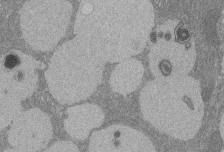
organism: Rat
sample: Salivary granule